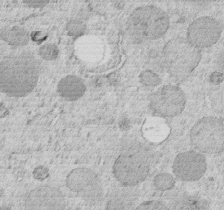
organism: C. elegans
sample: C. elegans embryo early stage